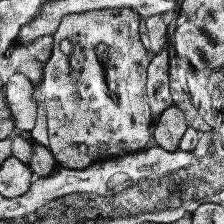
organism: Human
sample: Temporal Lobe